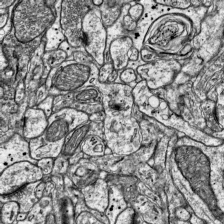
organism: Mouse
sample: Visual Cortex